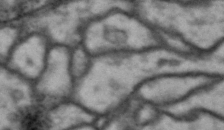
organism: Drosophila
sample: Brain